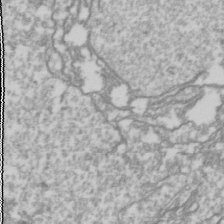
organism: Drosophila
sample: Cell division; meiosis; drosophila spermatocytes